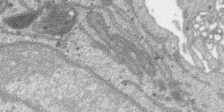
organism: Human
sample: Lung epithelial cells infected with SARS-CoV-2